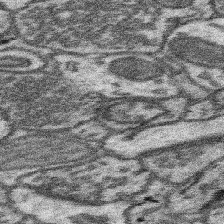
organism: Mouse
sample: Somatosensory cortex neuropil